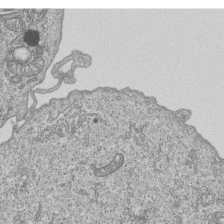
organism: Human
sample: MDA-MB-231 cells